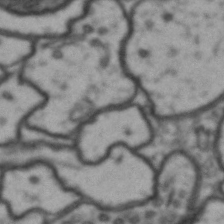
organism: Drosophila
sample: Brain